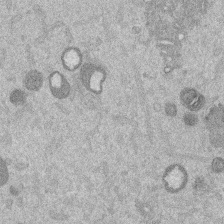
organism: Mouse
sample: Dividing mouse embryo 1 cell stage